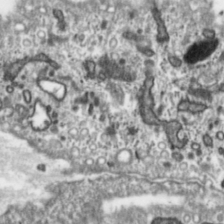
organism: Toxoplasma gondii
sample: Parasites in a vacuole inside a host cell